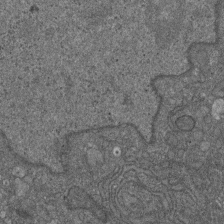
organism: Drosophila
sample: Nephrocyte